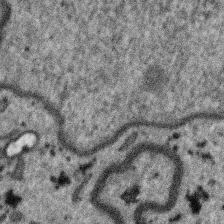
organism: Human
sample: Lung epithelial cells infected with SARS-CoV-2